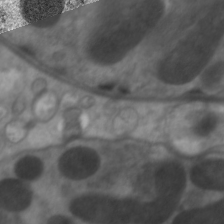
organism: C. elegans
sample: Pharynx